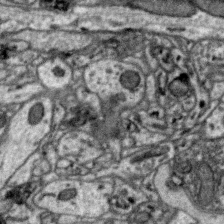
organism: Zebra finch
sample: Brain